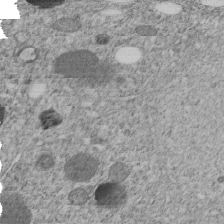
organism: C. elegans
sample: C. elegans embryo early stage